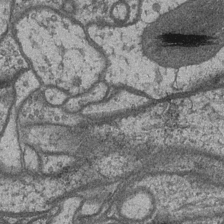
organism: Drosophila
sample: Optic medulla